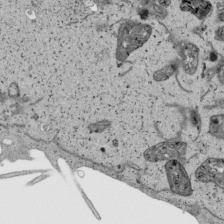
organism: Human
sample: Mitochondria in HCT116 cells